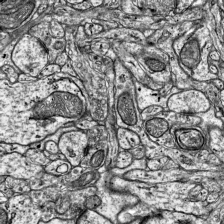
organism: Mouse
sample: Visual Cortex